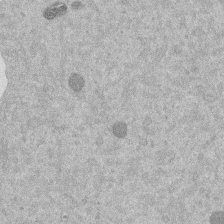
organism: Mouse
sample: Dividing mouse embryo 1 cell stage